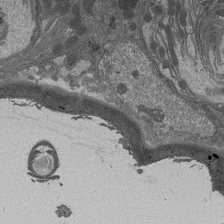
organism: Drosophila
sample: Antenna